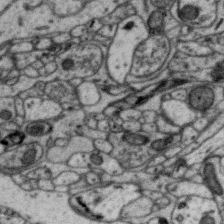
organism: Zebra finch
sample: Brain